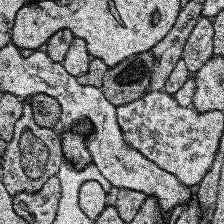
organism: Human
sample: Temporal Lobe